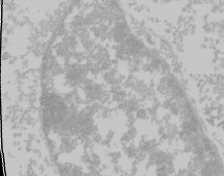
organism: Mouse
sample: Cancer cell death in ED-1 cells